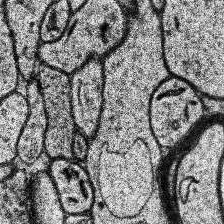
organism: Human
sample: Temporal Lobe